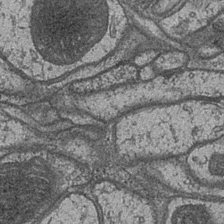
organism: Drosophila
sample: Optic medulla